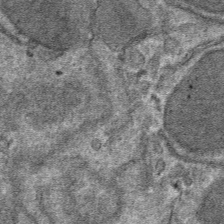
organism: Mouse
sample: Mouse hepatocytes